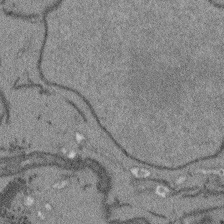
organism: Arabidopsis thaliana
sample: Root tip